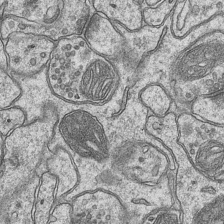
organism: Mouse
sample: CA1 Hippocampus